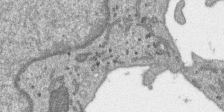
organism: Human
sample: Lung epithelial cells infected with SARS-CoV-2